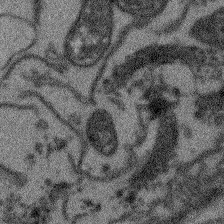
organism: Arabidopsis thaliana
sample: Root tip